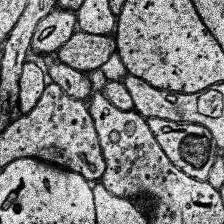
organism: Human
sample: Temporal Lobe